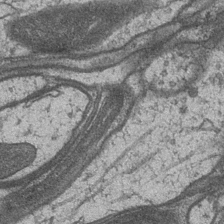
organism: Drosophila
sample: Optic medulla